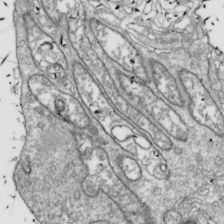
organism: Drosophila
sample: Cell division; meiosis; drosophila spermatocytes